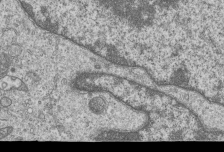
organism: Human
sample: MDA-MB-231 cells